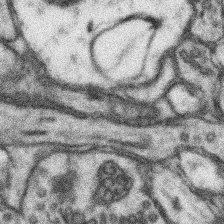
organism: Mouse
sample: Somatosensory cortex neuropil